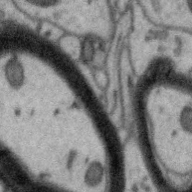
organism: Zebra finch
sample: Brain